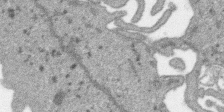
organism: Human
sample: Lung epithelial cells infected with SARS-CoV-2